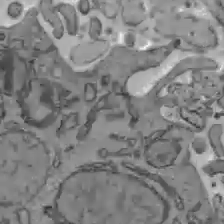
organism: C57BL Mouse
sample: Liver